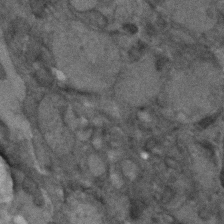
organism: Human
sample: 1205lu cells